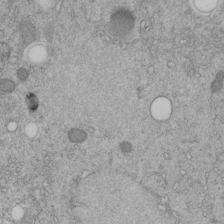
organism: C. elegans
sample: C. elegans embryo early stage